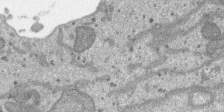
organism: Human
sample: Lung epithelial cells infected with SARS-CoV-2